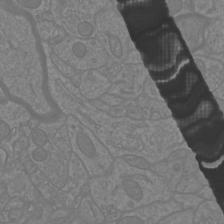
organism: Mouse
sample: Cortical neurons